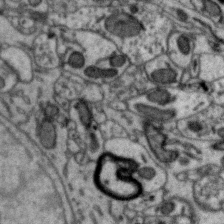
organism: Zebra finch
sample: Brain